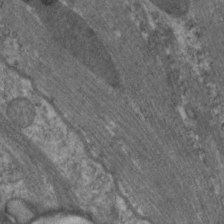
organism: C. elegans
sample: Pharynx